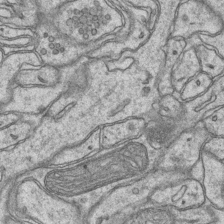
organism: Mouse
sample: CA1 Hippocampus